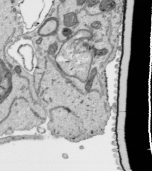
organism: Human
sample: Mitochondria in HCT116 cells